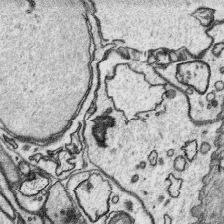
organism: Platynereis dumerilii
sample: Parapodia